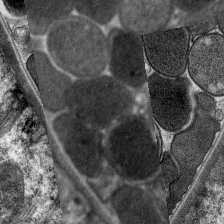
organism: C. elegans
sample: Pharynx